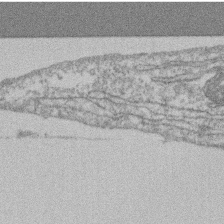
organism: Mouse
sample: T cell stromal cell synapse